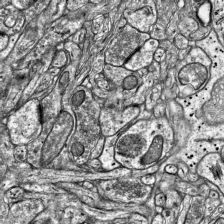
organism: Mouse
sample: Visual Cortex